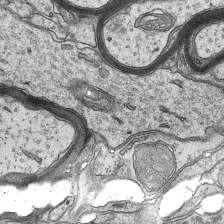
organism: Mouse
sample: CA1 Hippocampus